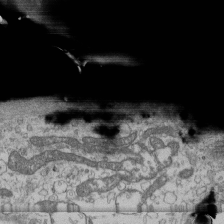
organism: Human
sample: Fibroblast cells